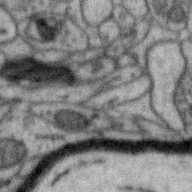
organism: Zebra finch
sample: Brain